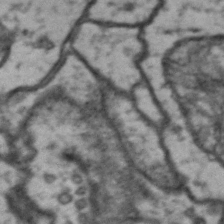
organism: Drosophila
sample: Brain